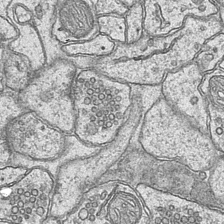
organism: Mouse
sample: CA1 Hippocampus